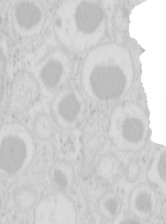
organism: Mouse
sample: Pancreas